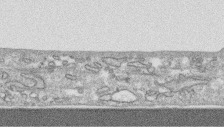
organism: Human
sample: CRL-1474